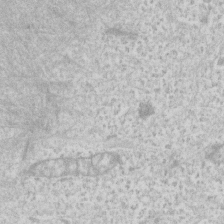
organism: Human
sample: Fibroblast cells